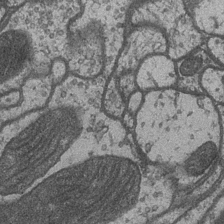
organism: Drosophila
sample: Optic medulla